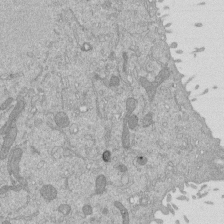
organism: Mouse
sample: ED-1 cell nuclei; centrioles